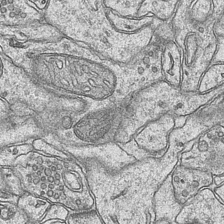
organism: Mouse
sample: CA1 Hippocampus